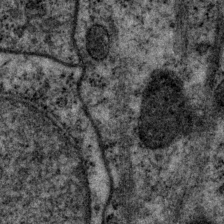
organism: P. pacificus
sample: Pharynx